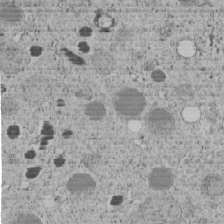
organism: C. elegans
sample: C. elegans embryo early stage